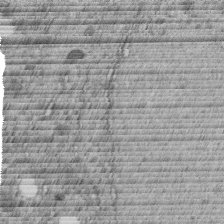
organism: C. elegans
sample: C. elegans embryo early stage